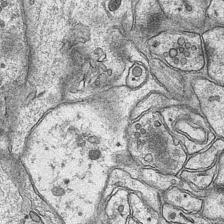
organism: Mouse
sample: CA1 Hippocampus